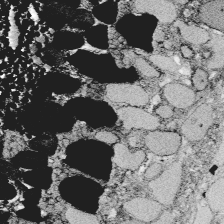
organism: Zebrafish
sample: Whole-Brain